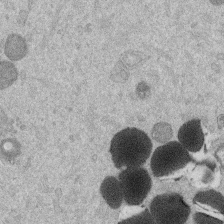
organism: Mouse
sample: Dividing mouse embryo 1 cell stage